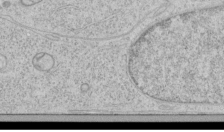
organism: Human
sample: Mitochondria in HCT116 cells